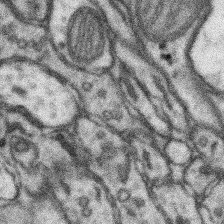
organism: Mouse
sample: Somatosensory cortex neuropil